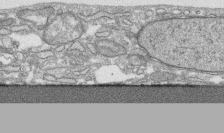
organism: Human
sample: CRL-1474